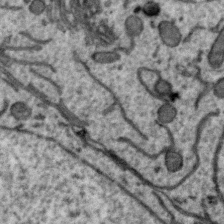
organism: Zebra finch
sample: Brain